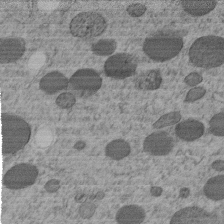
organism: C. elegans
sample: C. elegans embryo early stage